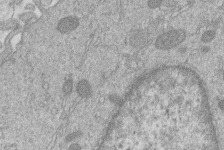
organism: Human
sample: Macrophage cells